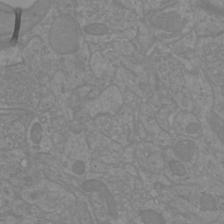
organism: Mouse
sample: Cortical neurons